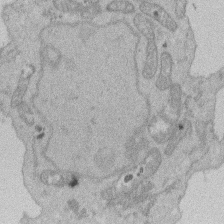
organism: Human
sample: Activated Jurkat CD4+ T cells